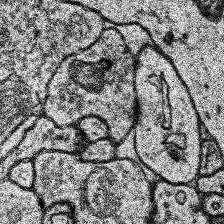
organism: Human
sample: Temporal Lobe